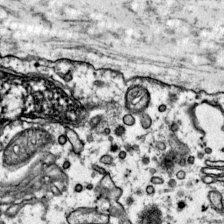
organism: Mouse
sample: Primary visual cortex